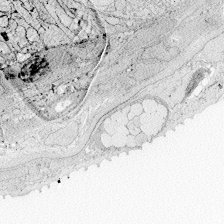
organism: Zebrafish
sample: Whole-Brain